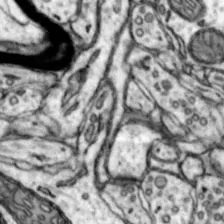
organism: Mouse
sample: Nucleus accumbens